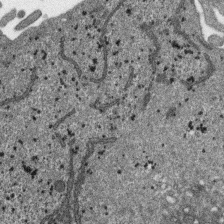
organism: Human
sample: Lung epithelial cells infected with SARS-CoV-2